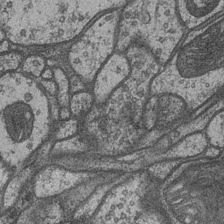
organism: Drosophila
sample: Optic medulla